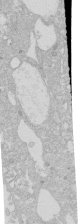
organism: Human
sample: Caco-2 cells